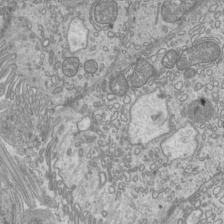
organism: Mouse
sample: Cilia; mouse epididymis